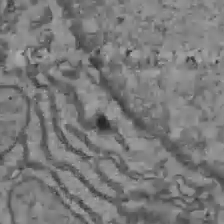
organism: C57BL Mouse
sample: Liver